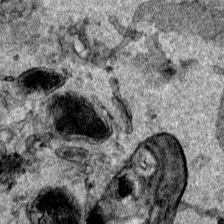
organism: Human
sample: Mitochondria in HCT116 cells